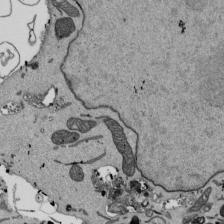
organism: Mouse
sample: ED-1 cell nuclei; centrioles